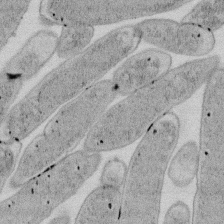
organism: E. coli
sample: Bacterial nucleoid